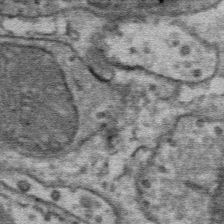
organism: Mouse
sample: Mouse Salivary gland